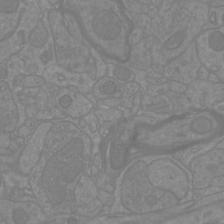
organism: Mouse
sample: Cortical neurons